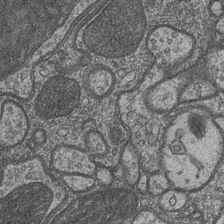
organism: Drosophila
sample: Optic medulla